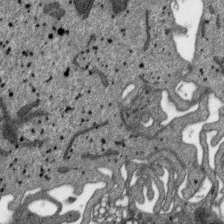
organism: Human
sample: Lung epithelial cells, uninfected (mock) control